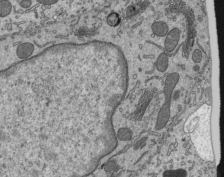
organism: Mouse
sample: Mouse epididymis efferent ductule cilia